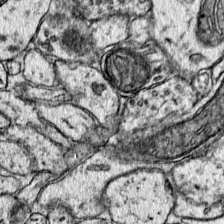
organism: Mouse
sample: Primary visual cortex